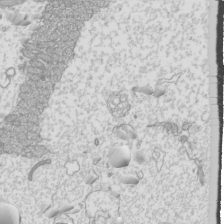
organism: Mouse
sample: Cilia; mouse epididymis